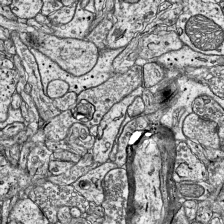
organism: Mouse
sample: Visual Cortex